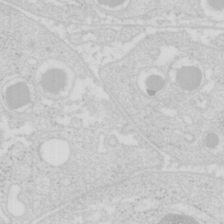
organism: Mouse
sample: Pancreas